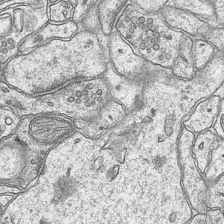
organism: Mouse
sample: CA1 Hippocampus